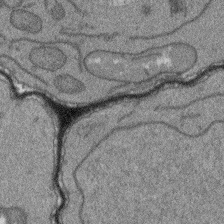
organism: Arabidopsis thaliana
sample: Root tip